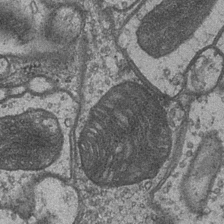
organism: Drosophila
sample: Optic medulla